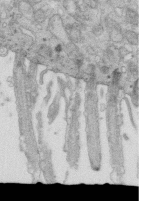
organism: Mouse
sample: Multiciliated cells